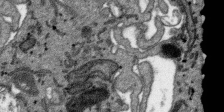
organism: Human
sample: Lung epithelial cells, uninfected (mock) control